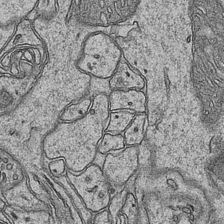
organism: Mouse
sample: CA1 Hippocampus